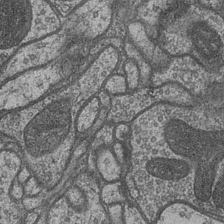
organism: Drosophila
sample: Optic medulla